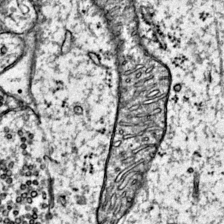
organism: Mouse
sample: Primary visual cortex